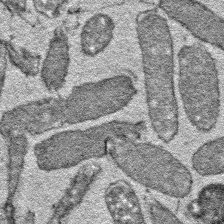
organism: E. coli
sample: E. Coli Bacteria